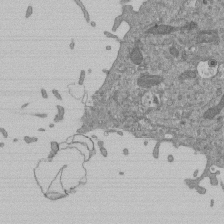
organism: Mouse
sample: ED-1 cell nuclei; centrioles